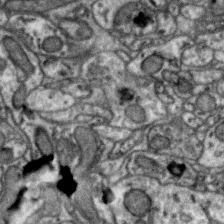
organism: Zebra finch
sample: Brain